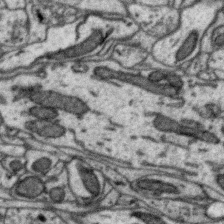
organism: Zebra finch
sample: Brain